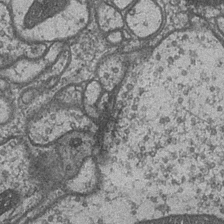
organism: Drosophila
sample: Optic medulla